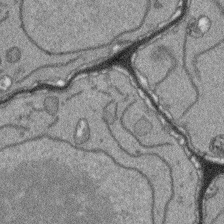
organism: Arabidopsis thaliana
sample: Root tip